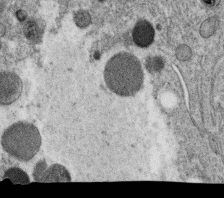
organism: C. elegans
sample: C. elegans oocyte; sperm cells